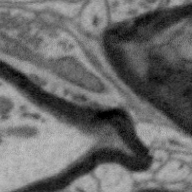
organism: Zebra finch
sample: Brain